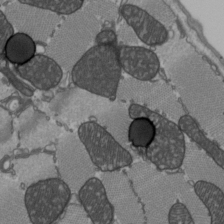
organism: C57BL Mouse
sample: Heart